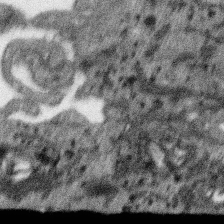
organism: Human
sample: Lung epithelial cells infected with SARS-CoV-2